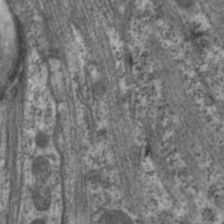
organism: C. elegans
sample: Pharynx